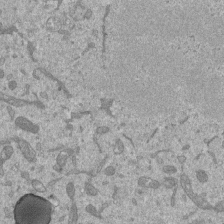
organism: Mouse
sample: ED-1 cell nuclei; centrioles